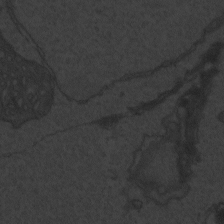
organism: Zebrafish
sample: Macrophage infected with Toxoplasma gondii